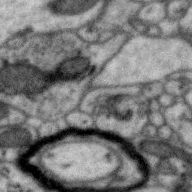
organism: Zebra finch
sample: Brain